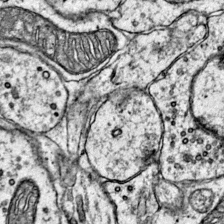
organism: Mouse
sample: Primary visual cortex